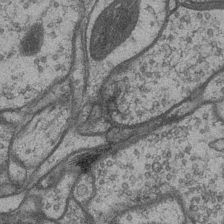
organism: Drosophila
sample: Optic medulla